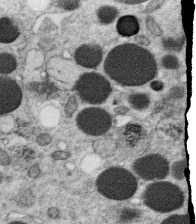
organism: C. elegans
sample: C. elegans oocyte; sperm cells